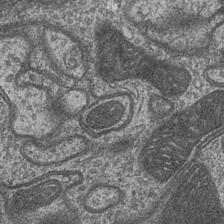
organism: Drosophila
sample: Optic medulla